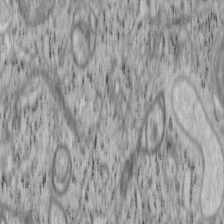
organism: Human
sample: HeLa cells